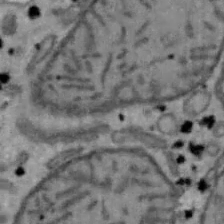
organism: Mouse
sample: Liver